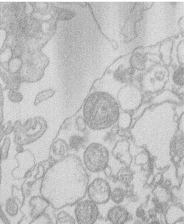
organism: Human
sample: Macrophage cells